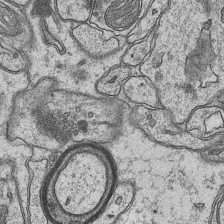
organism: Mouse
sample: CA1 Hippocampus